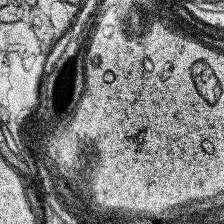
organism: Human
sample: Temporal Lobe